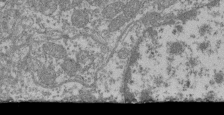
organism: Mouse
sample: Glomerulus